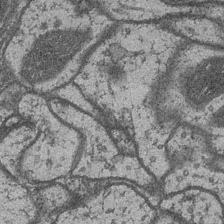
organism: Drosophila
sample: Optic medulla